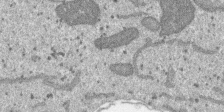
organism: Human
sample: Lung epithelial cells infected with SARS-CoV-2